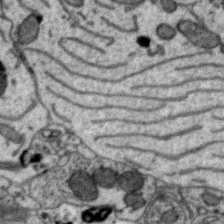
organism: Zebra finch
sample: Brain